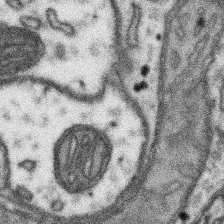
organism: Mouse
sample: Somatosensory cortex neuropil